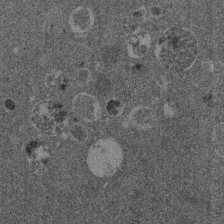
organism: Mouse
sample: Dividing mouse embryo 1 cell stage